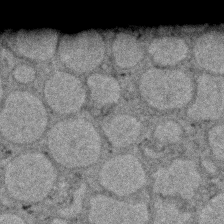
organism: Zebrafish